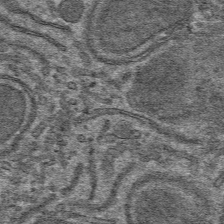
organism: Mouse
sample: Mouse hepatocytes